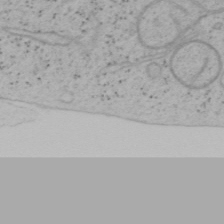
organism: Human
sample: HeLa cells